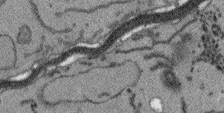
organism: Arabidopsis thaliana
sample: Root tip